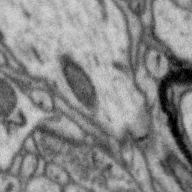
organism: Zebra finch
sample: Brain